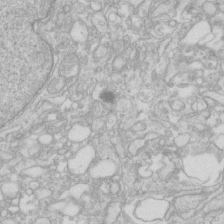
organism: Human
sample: Fibroblast cells